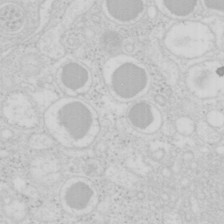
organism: Mouse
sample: Pancreas